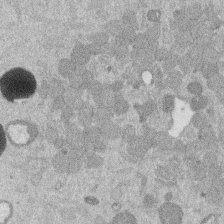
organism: Mouse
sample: Dividing mouse embryo 1 cell stage